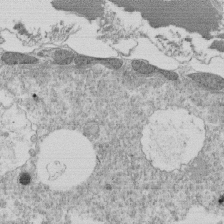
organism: Tetrahymena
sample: Cilia in tetrahymena